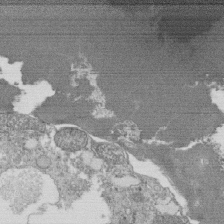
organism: Tetrahymena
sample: Cilia in tetrahymena